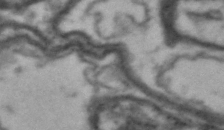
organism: Drosophila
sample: Brain